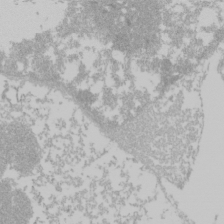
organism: Mouse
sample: Cancer cell death in ED-1 cells